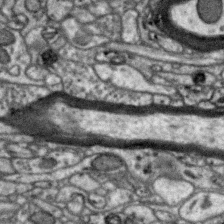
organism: Zebra finch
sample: Brain